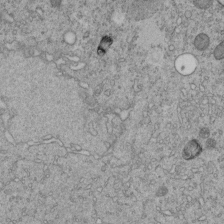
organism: C. elegans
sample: C. elegans embryo early stage